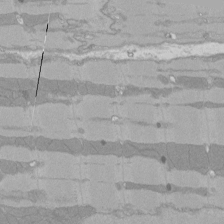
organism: Rat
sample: Left ventricle